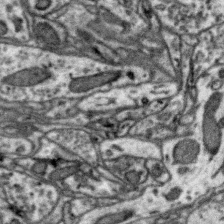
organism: Zebra finch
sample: Brain